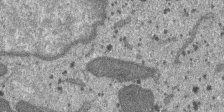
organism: Human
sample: Lung epithelial cells infected with SARS-CoV-2